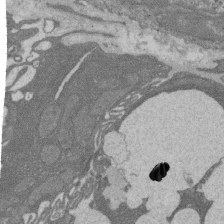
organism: Rat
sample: Salivary granule